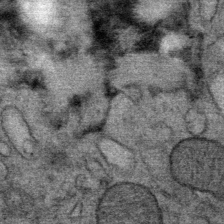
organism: Mouse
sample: Mouse Salivary gland